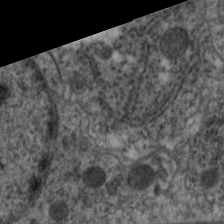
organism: C. elegans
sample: Pharynx